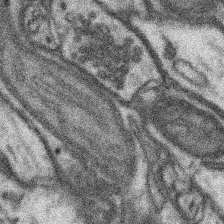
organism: Mouse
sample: Somatosensory cortex neuropil